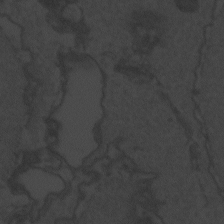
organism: Zebrafish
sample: Macrophage infected with Toxoplasma gondii